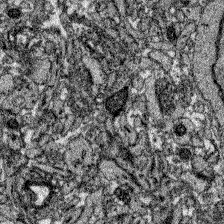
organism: Zebrafish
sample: Larval olfactory bulb